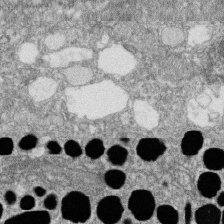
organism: Zebrafish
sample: Cilia; retinal pigment epithelium